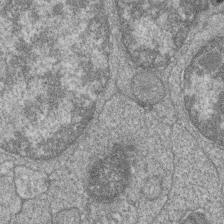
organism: Zebrafish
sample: Cilia; retinal pigment epithelium